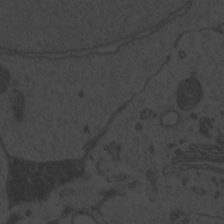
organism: Zebrafish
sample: Macrophage infected with Toxoplasma gondii